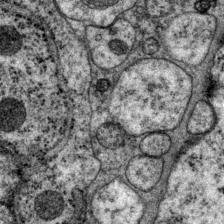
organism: P. pacificus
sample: Pharynx